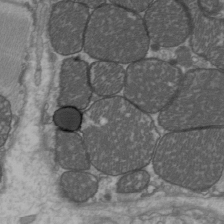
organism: C57BL Mouse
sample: Heart